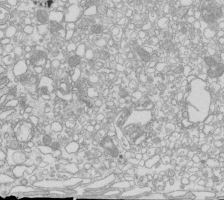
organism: Mouse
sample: Macrophages